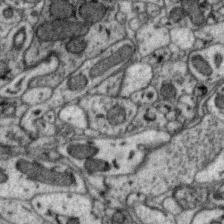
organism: Zebra finch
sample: Brain